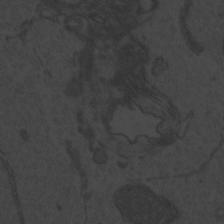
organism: Zebrafish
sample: Macrophage infected with Toxoplasma gondii